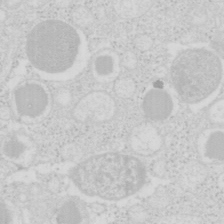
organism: Mouse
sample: Pancreas